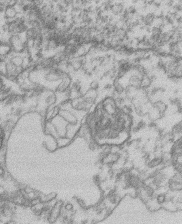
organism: Mouse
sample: T cell stromal cell synapse